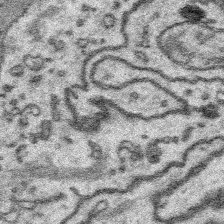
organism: Platynereis dumerilii